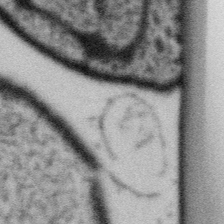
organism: Gemmata obscuriglobus